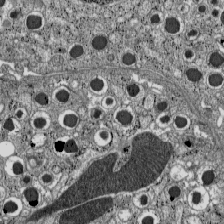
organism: C57BL Mouse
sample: Pancreatic islet